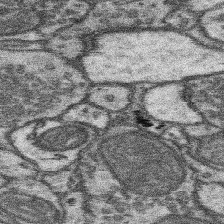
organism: Mouse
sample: Somatosensory cortex neuropil